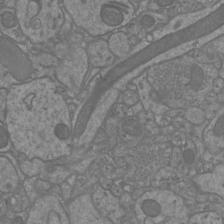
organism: Mouse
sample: Cortical neurons